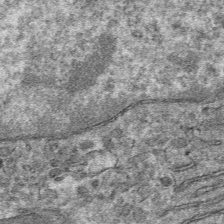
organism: Mouse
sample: Mouse hepatocytes